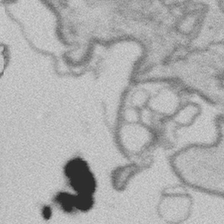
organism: Platynereis dumerilii